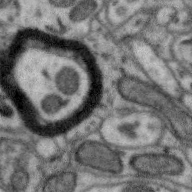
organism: Zebra finch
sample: Brain